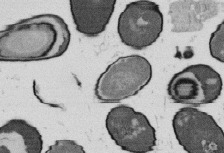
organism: B. subtilis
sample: Bacterial spore